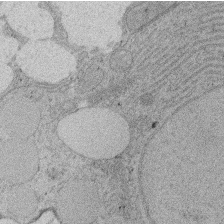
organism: Rat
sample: Salivary granule